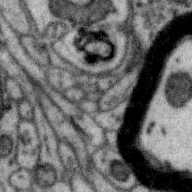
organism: Zebra finch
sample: Brain